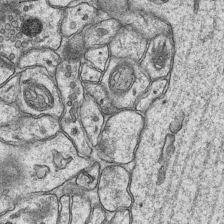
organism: Mouse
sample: CA1 Hippocampus